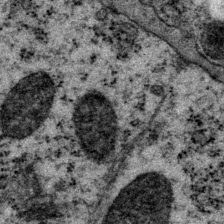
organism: P. pacificus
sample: Pharynx